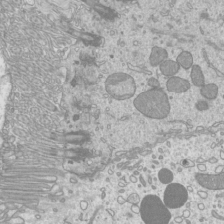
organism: Mouse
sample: Cilia; mouse epididymis